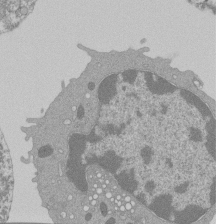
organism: Mouse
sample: Activated Pmel transgenic CD8+ T Cells